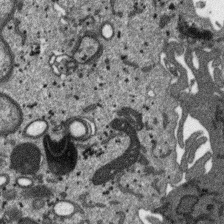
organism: Human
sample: Lung epithelial cells infected with SARS-CoV-2